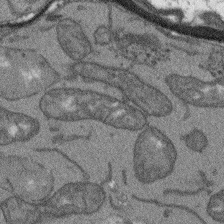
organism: Arabidopsis thaliana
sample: Root tip